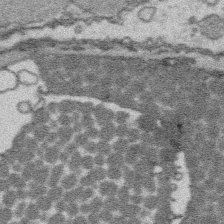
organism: Platynereis dumerilii